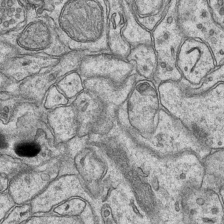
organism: Mouse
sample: CA1 Hippocampus